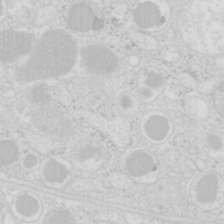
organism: Mouse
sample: Pancreas